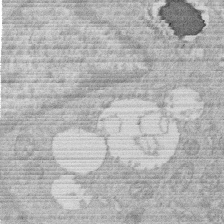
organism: Human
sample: Macrophage cells